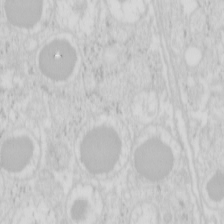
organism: Mouse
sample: Pancreas